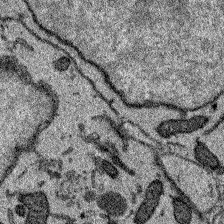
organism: Zebrafish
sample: Larval olfactory bulb